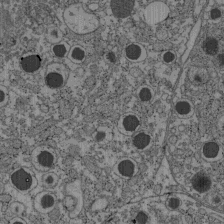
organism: C57BL Mouse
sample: Pancreatic islet